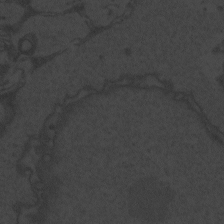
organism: Zebrafish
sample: Macrophage infected with Toxoplasma gondii